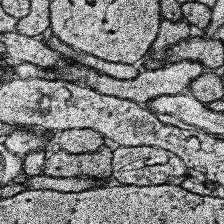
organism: Human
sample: Temporal Lobe